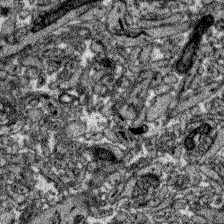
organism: Zebrafish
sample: Larval olfactory bulb